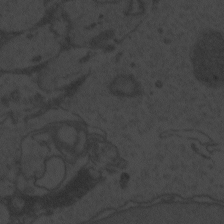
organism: Zebrafish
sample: Macrophage infected with Toxoplasma gondii